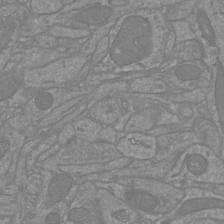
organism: Mouse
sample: Cortical neurons